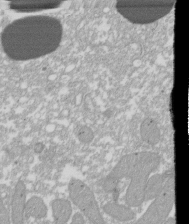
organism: Xenopus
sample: Cilia; centrioles in frog embryo cells